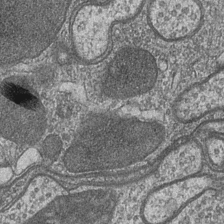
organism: Drosophila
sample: Optic medulla